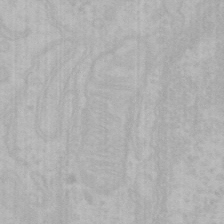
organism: Mouse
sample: Choroid plexus